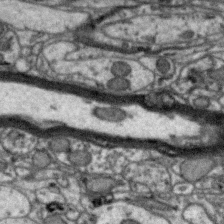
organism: Zebra finch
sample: Brain